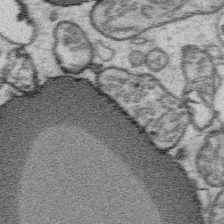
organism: Platynereis dumerilii